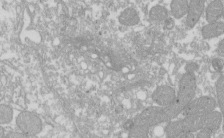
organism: Xenopus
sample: Cilia; centrioles in frog embryo cells